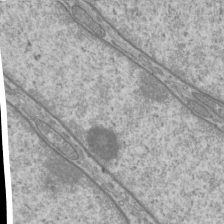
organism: Mouse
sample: Cilia; mouse epididymis